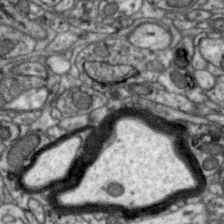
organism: Zebra finch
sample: Brain